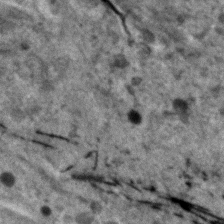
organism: Human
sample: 1205lu cells